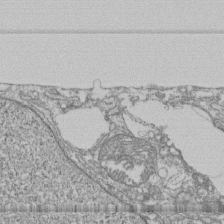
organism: Human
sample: Fibroblast cells